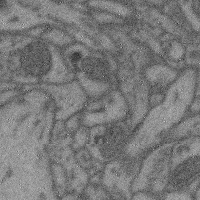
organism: Mouse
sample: Cerebral cortex